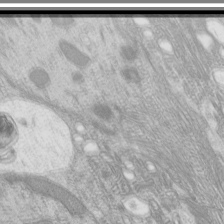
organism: Mouse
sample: Cilia; mouse epididymis